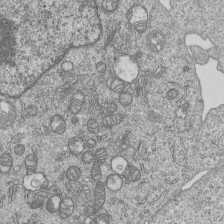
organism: Human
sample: MDA-MB-231 cells